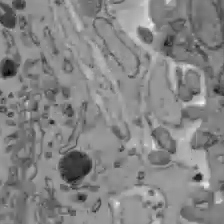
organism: C57BL Mouse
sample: Liver